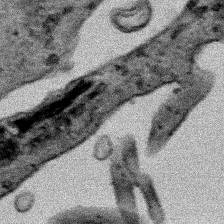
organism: Human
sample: Mitochondria in HCT116 cells